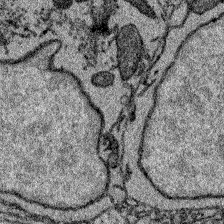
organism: Zebrafish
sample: Larval olfactory bulb